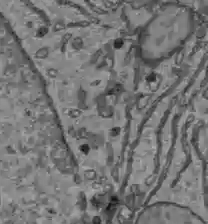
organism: C57BL Mouse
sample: Liver